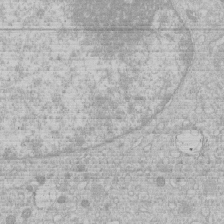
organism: Human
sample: Macrophage cells